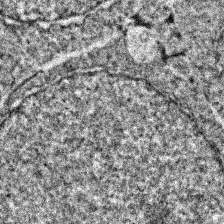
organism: Zebrafish